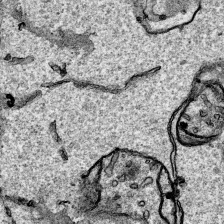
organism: Human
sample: Mitochondria in HCT116 cells